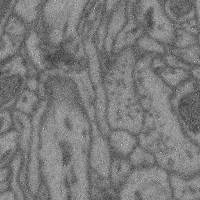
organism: Mouse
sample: Cerebral cortex